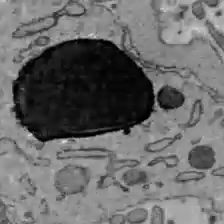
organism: C57BL Mouse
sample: Liver